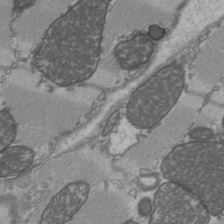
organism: C57BL Mouse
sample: Heart